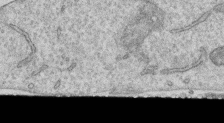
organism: Human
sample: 1205lu cells